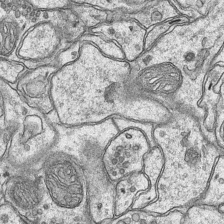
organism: Mouse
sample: CA1 Hippocampus